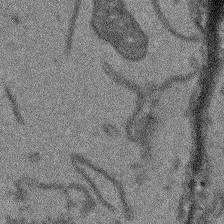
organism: Arabidopsis thaliana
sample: Root tip